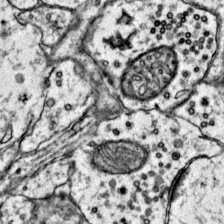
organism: Mouse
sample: Primary visual cortex